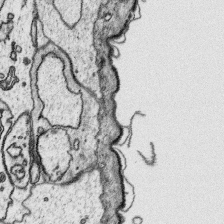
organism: Platynereis dumerilii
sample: Parapodia